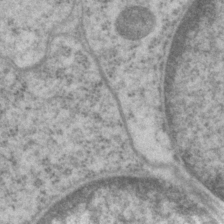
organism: P. pacificus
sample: Pharynx